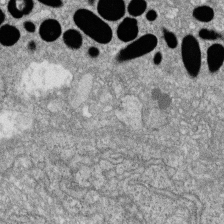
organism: Zebrafish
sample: Cilia; retinal pigment epithelium